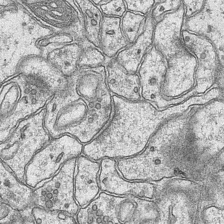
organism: Mouse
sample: CA1 Hippocampus